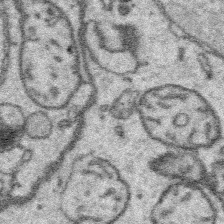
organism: Platynereis dumerilii